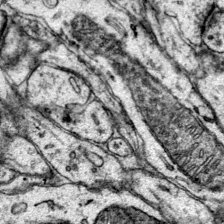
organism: Mouse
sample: Primary visual cortex